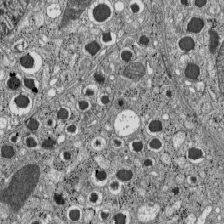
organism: C57BL Mouse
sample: Pancreatic islet